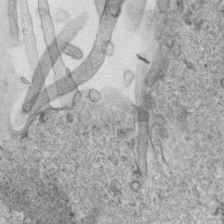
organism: Human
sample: Mitochondria in HCT116 cells